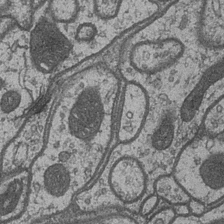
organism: Drosophila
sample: Optic medulla